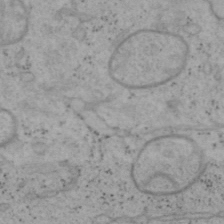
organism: Human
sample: HeLa cells